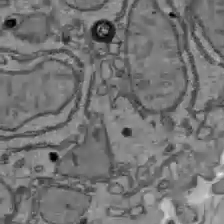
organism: C57BL Mouse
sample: Liver